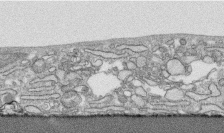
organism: Human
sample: CRL-1474